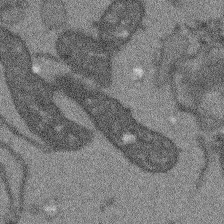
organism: Arabidopsis thaliana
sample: Root tip